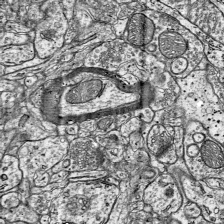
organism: Mouse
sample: Visual Cortex